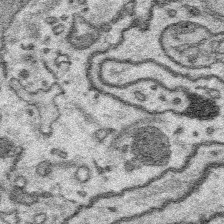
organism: Platynereis dumerilii